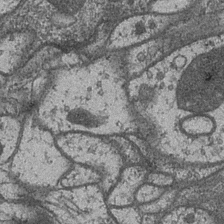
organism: Drosophila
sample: Optic medulla